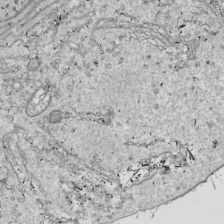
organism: Drosophila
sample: Cell division; meiosis; drosophila spermatocytes